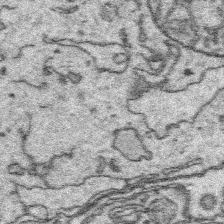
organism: Platynereis dumerilii